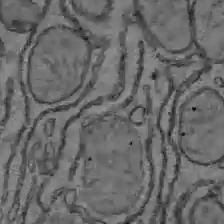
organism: C57BL Mouse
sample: Liver